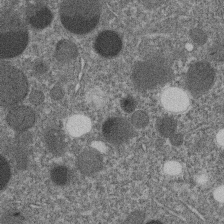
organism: C. elegans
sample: C. elegans embryo early stage